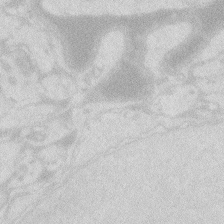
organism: Zebrafish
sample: Macrophage